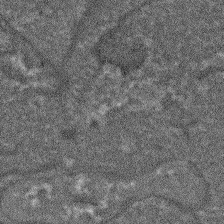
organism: Arabidopsis thaliana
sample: Root tip